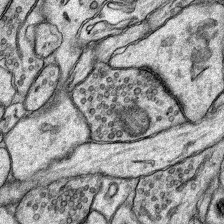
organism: Rat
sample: Hippocampus